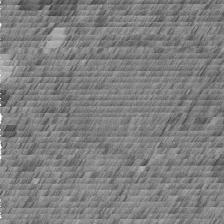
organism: C. elegans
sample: C. elegans embryo early stage